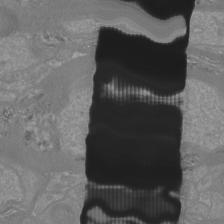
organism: Mouse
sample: Cortical neurons